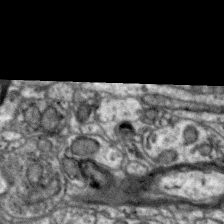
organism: Zebra finch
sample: Brain